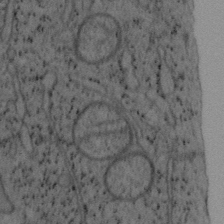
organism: Human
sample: HeLa cells